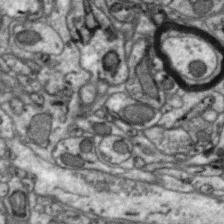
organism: Zebra finch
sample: Brain